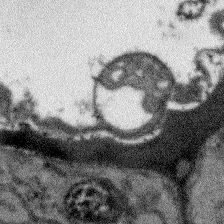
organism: Arabidopsis thaliana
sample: Root tip